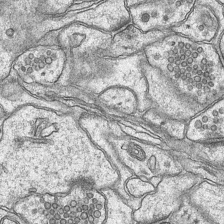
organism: Mouse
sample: CA1 Hippocampus